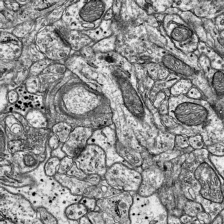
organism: Mouse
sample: Visual Cortex